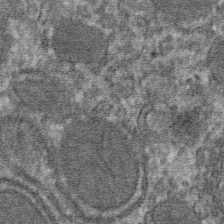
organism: Mouse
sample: Mouse hepatocytes